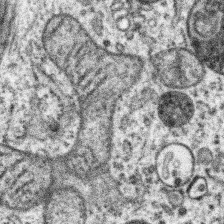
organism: Human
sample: HeLa cells